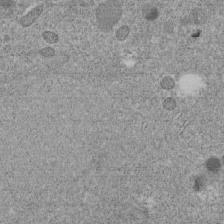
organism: C. elegans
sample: C. elegans embryo early stage